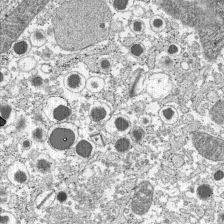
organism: C57BL Mouse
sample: Pancreatic islet